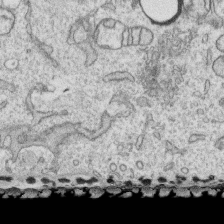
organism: Human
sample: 1205lu cells